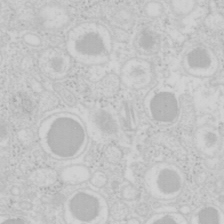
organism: Mouse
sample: Pancreas